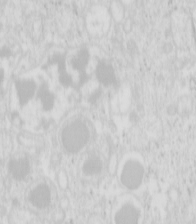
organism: Mouse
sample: Pancreas